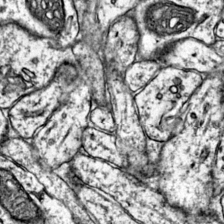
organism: Mouse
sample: Primary visual cortex